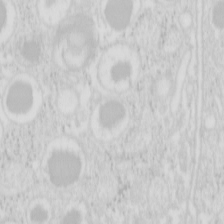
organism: Mouse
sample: Pancreas